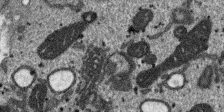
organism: Human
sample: Lung epithelial cells infected with SARS-CoV-2